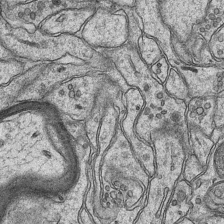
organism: Mouse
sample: CA1 Hippocampus